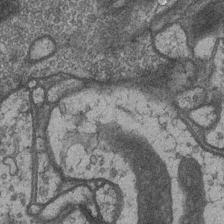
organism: Drosophila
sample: Optic medulla